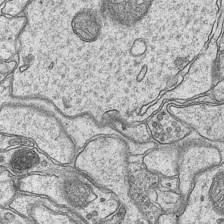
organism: Mouse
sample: CA1 Hippocampus